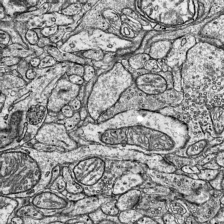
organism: Mouse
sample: Visual Cortex